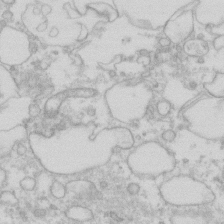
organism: Human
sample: Fibroblast cells